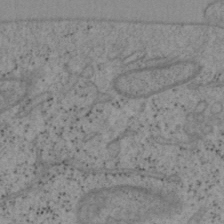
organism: Human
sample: HeLa cells